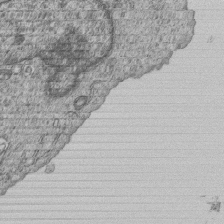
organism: Human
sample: MDA-MB-231 cells